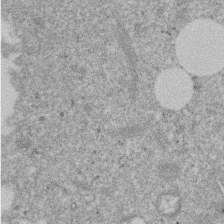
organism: Mouse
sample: Dividing mouse embryo 1 cell stage